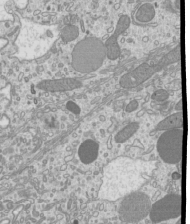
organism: Mouse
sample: Cilia; mouse epididymis